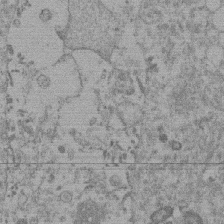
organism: Mouse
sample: Dividing mouse embryo 1 cell stage